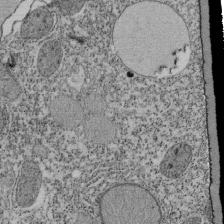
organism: Tetrahymena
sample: Cilia in tetrahymena